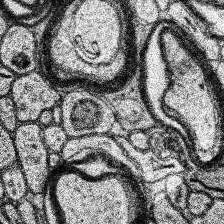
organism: Human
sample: Temporal Lobe